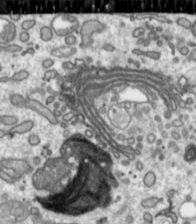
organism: Toxoplasma gondii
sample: Parasites in a vacuole inside a host cell